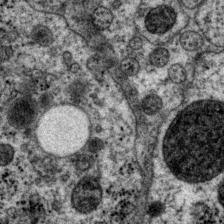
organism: P. pacificus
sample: Pharynx